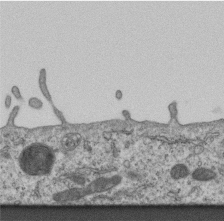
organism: Mouse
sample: Centriole in ependymal cells